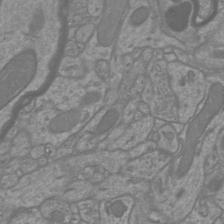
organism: Mouse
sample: Cortical neurons